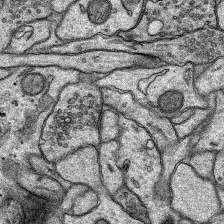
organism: Rat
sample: Hippocampus